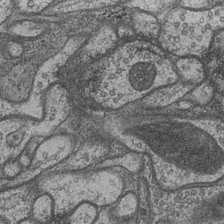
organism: Drosophila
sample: Optic medulla